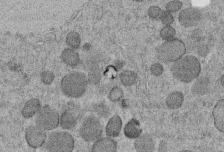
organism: C. elegans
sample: C. elegans embryo early stage